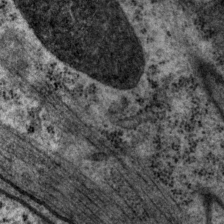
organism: P. pacificus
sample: Pharynx